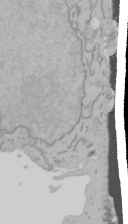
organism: Mouse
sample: Cancer cell death in ED-1 cells